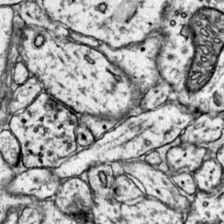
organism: Mouse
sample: Primary visual cortex